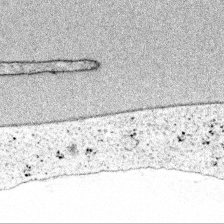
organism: Human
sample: HeLa cells